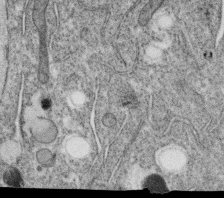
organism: C. elegans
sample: C. elegans oocyte; sperm cells